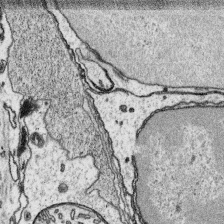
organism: Platynereis dumerilii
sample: Parapodia